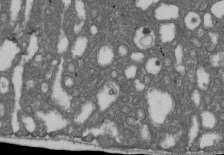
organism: Drosophila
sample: Nephrocyte